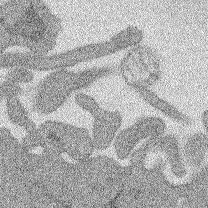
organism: Human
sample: HeLa cells